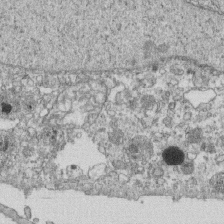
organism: Human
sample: HeLa cell HIV synapse